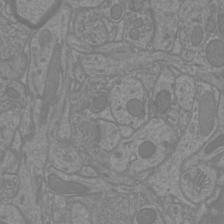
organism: Mouse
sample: Cortical neurons